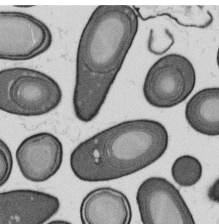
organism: B. subtilis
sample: Bacterial spore